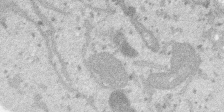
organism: Human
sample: Lung epithelial cells infected with SARS-CoV-2